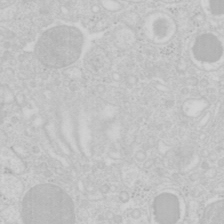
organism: Mouse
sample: Pancreas